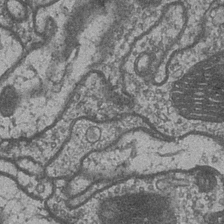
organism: Drosophila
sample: Optic medulla